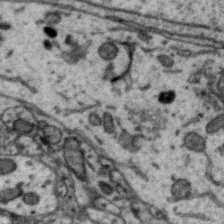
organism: Zebra finch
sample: Brain